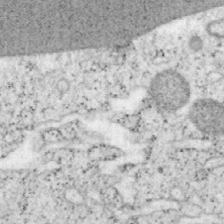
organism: Mouse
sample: OT-I killer T cells with ID8 ovarian cancer cells